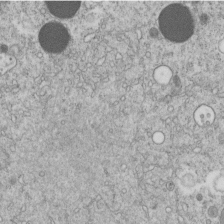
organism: C. elegans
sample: C. elegans embryo early stage